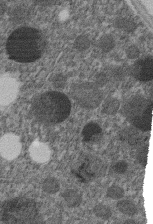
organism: C. elegans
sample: C. elegans embryo early stage